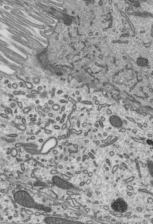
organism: Mouse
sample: Mouse epididymis efferent ductule cilia